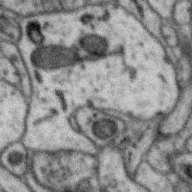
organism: Zebra finch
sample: Brain